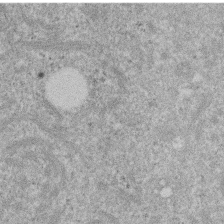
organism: Mouse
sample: Dividing mouse embryo 1 cell stage